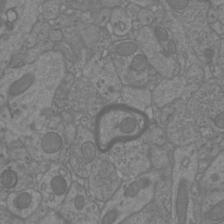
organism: Mouse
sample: Cortical neurons